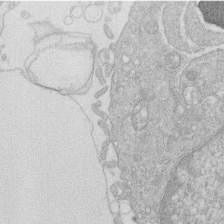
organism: Human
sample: Macrophage cells